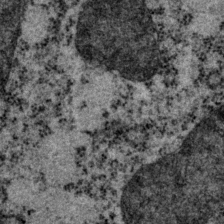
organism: P. pacificus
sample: Pharynx